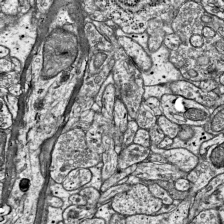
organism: Mouse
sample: Visual Cortex